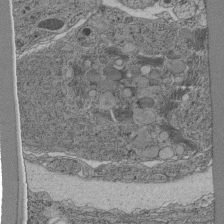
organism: C. elegans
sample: C. elegans pharynx